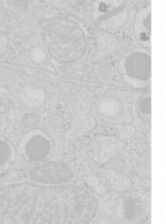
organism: Mouse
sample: Pancreas